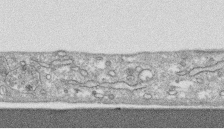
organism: Human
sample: CRL-1474